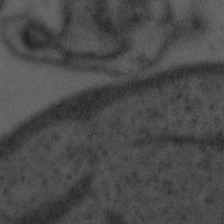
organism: Tuwongella immobilis